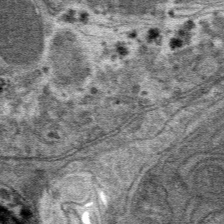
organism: Mouse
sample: Mouse hepatocytes